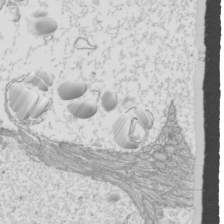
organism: Mouse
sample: Cilia; mouse epididymis